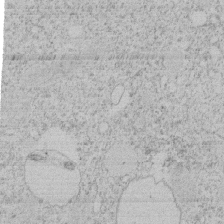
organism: Tetrahymena